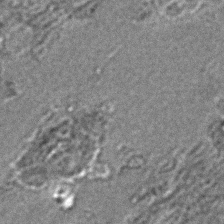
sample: Trachea